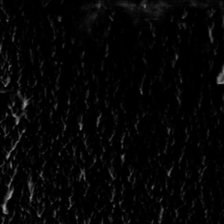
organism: Toxoplasma gondii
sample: Parasites in a vacuole inside a host cell